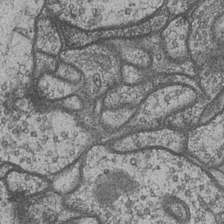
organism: Drosophila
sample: Optic medulla